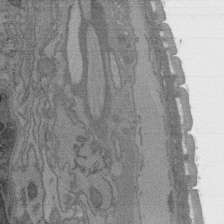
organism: C. elegans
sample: AFD neurons C. elegans